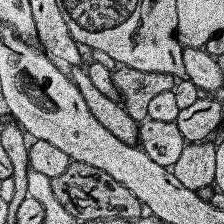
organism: Human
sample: Temporal Lobe